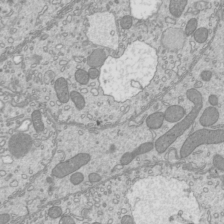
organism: Mouse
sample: Cilia; mouse epididymis